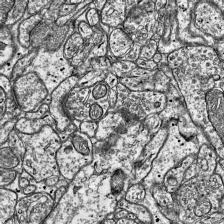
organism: Mouse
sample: Visual Cortex